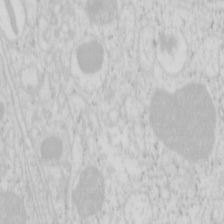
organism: Mouse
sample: Pancreas